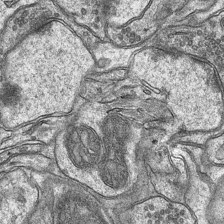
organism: Mouse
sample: CA1 Hippocampus